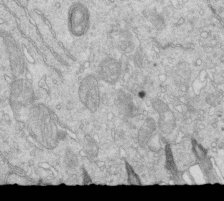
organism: Mouse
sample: Multiciliated cells